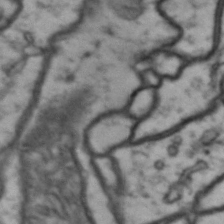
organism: Drosophila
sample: Brain